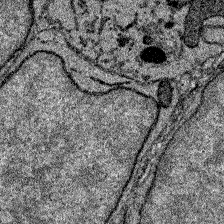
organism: Zebrafish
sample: Larval olfactory bulb